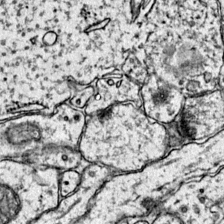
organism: Mouse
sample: Primary visual cortex